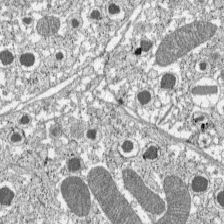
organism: C57BL Mouse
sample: Pancreatic islet